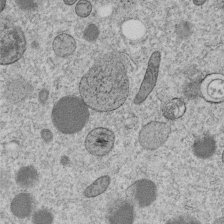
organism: C. elegans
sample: C. elegans embryo early stage